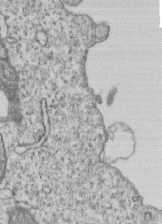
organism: Human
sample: MDA-MB-231 cells